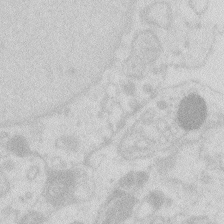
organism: Zebrafish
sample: Macrophage